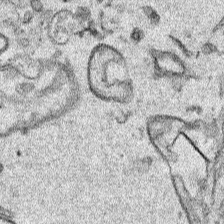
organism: Human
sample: Mitochondria in HCT116 cells